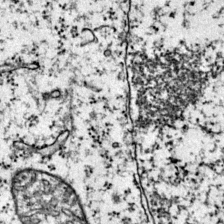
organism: Mouse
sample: Primary visual cortex